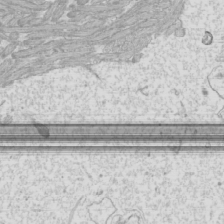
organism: Mouse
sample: Cilia; mouse epididymis